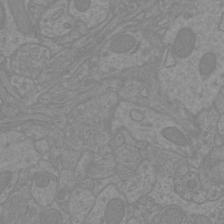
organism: Mouse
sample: Cortical neurons